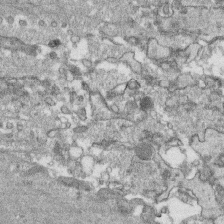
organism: Human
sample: CRL-1474